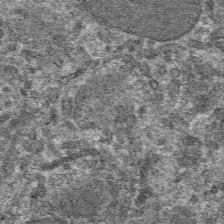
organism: Mouse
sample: Mouse hepatocytes